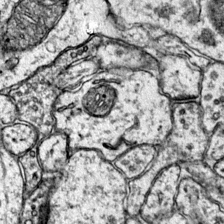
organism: Mouse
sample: Primary visual cortex